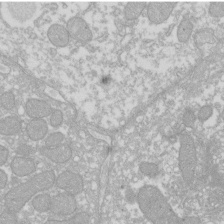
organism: Xenopus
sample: Cilia; centrioles in frog embryo cells